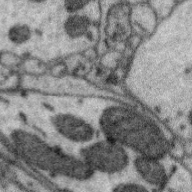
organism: Zebra finch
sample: Brain